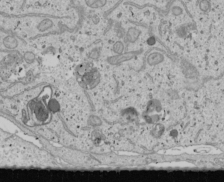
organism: Human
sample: Mitochondria in U2OS cells